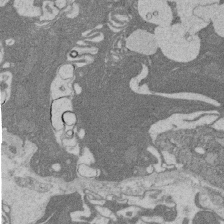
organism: Rat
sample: Salivary granule